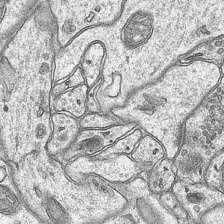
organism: Mouse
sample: CA1 Hippocampus